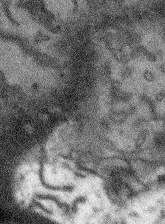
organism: Arabidopsis thaliana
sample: Root tip